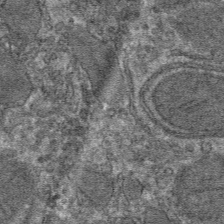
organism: Mouse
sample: Mouse hepatocytes